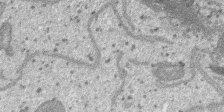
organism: Human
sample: Lung epithelial cells infected with SARS-CoV-2